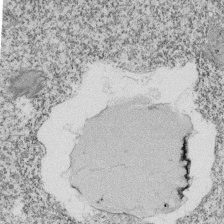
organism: Tetrahymena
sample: Cilia in tetrahymena